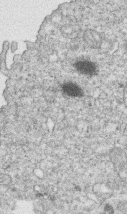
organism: Human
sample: HeLa cell HIV synapse